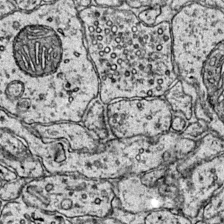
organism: Mouse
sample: Primary visual cortex